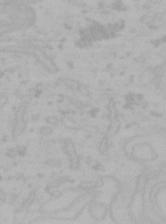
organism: Mouse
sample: Choroid plexus